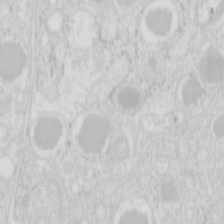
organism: Mouse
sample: Pancreas